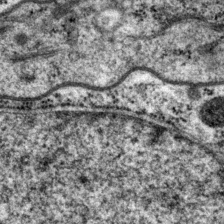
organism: P. pacificus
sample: Pharynx